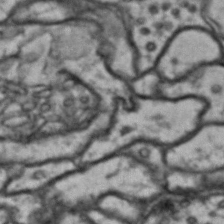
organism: Drosophila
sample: Brain